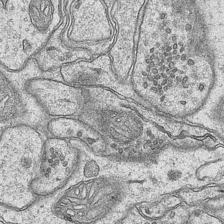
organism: Mouse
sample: CA1 Hippocampus